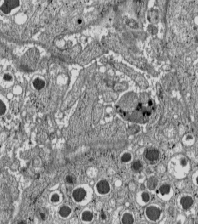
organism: C57BL Mouse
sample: Pancreatic islet